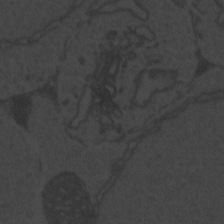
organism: Zebrafish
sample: Macrophage infected with Toxoplasma gondii